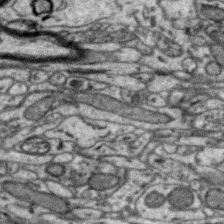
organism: Zebra finch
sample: Brain